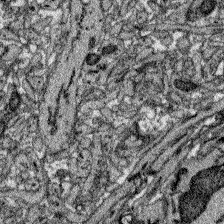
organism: Zebrafish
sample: Larval olfactory bulb